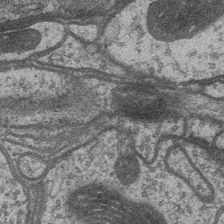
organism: Drosophila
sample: Optic medulla